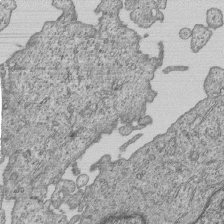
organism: Human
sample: MDA-MB-231 cells